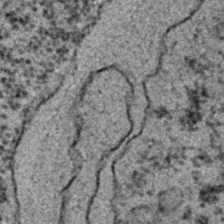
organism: C. elegans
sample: C. elegans embryo